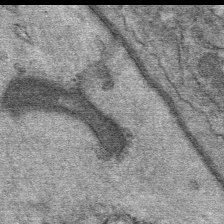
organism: Mouse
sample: Mouse Salivary gland